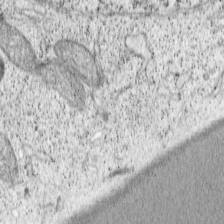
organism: African green monkey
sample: COS-7 cells